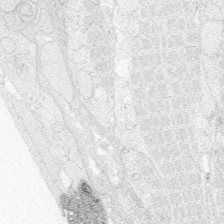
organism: Zebrafish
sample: Whole-Brain